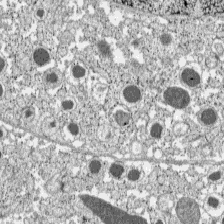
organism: C57BL Mouse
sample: Pancreatic islet